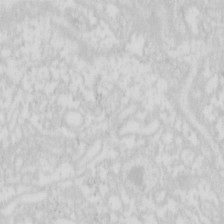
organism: Mouse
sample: Pancreas